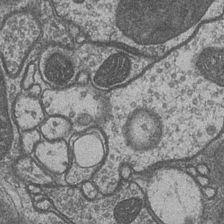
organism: Drosophila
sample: Optic medulla